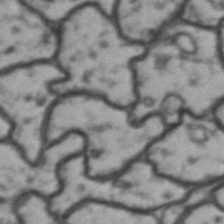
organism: Drosophila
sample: Brain